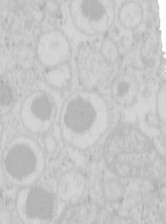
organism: Mouse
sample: Pancreas